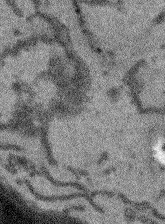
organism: Arabidopsis thaliana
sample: Root tip